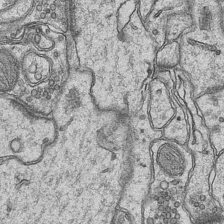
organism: Mouse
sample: CA1 Hippocampus